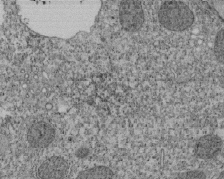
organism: Tetrahymena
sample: Cilia in tetrahymena